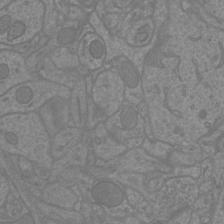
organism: Mouse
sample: Cortical neurons